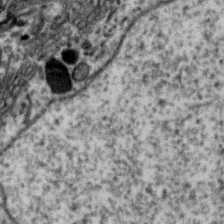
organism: Zebra finch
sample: Brain